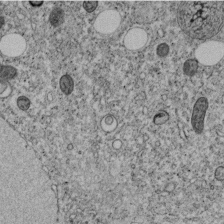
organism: C. elegans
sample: C. elegans embryo early stage